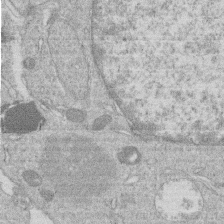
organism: Human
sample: Macrophage cells